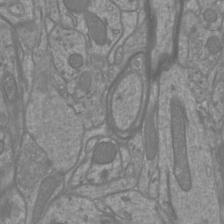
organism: Mouse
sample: Cortical neurons